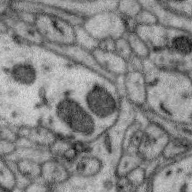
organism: Zebra finch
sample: Brain